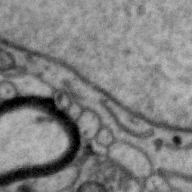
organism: Zebra finch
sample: Brain